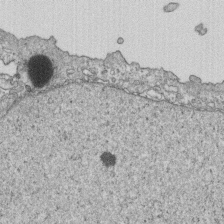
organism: Human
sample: HeLa cell HIV synapse